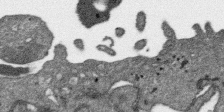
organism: Human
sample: Lung epithelial cells, uninfected (mock) control